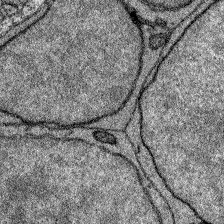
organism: Zebrafish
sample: Larval olfactory bulb